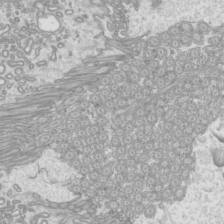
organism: Mouse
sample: Cilia; mouse epididymis